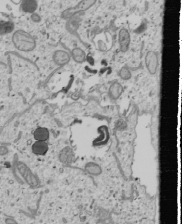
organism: Human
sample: Mitochondria in U2OS cells